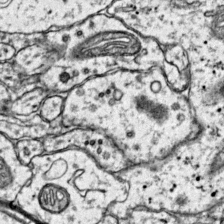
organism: Mouse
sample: Primary visual cortex